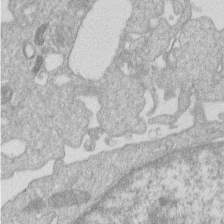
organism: Human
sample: Macrophage cells